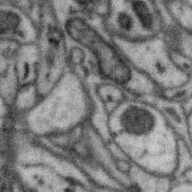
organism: Zebra finch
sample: Brain